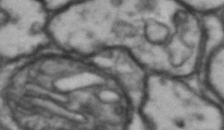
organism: Drosophila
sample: Brain